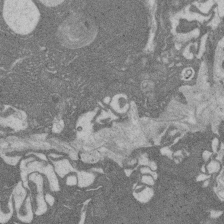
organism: Rat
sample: Salivary granule